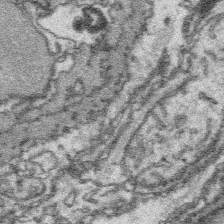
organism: Platynereis dumerilii